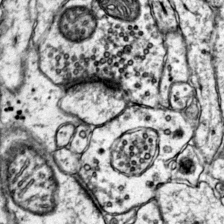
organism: Mouse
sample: Primary visual cortex